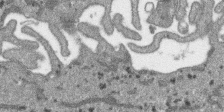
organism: Human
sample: Lung epithelial cells infected with SARS-CoV-2